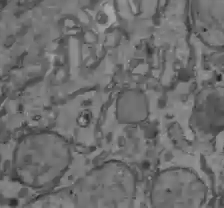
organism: C57BL Mouse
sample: Liver